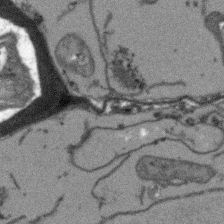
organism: Arabidopsis thaliana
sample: Root tip